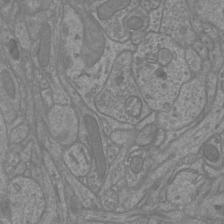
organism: Mouse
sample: Cortical neurons